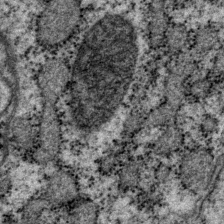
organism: P. pacificus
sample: Pharynx